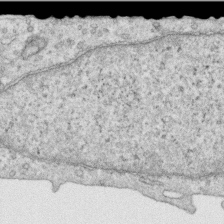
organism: Human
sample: Centriole in RPE cells